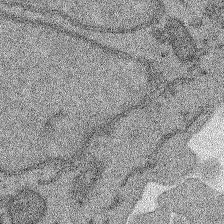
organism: Human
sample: HeLa cells